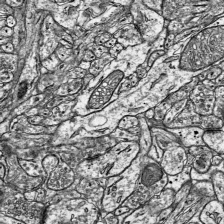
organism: Mouse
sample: Visual Cortex